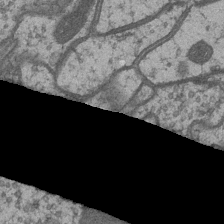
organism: Drosophila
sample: Optic medulla